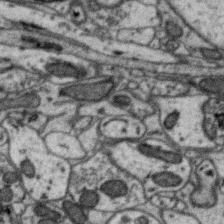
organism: Zebra finch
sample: Brain